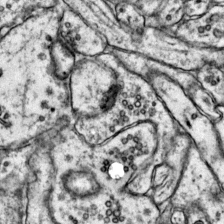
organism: Mouse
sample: Primary visual cortex